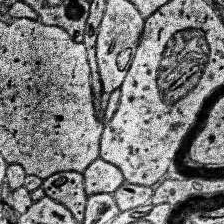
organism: Human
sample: Temporal Lobe